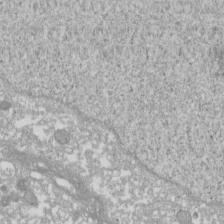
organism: Xenopus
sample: Cilia; centrioles in frog embryo cells